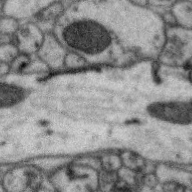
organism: Zebra finch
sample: Brain